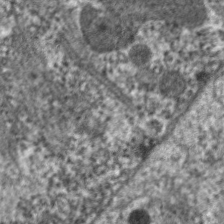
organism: C. elegans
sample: Pharynx